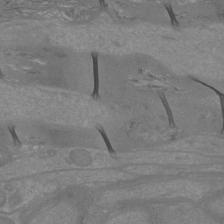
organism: Mouse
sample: Cortical neurons